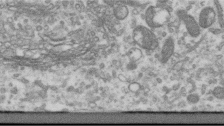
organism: Human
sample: Centriole in RPE cells